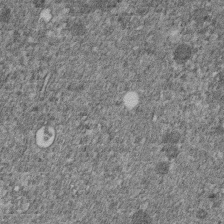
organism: C. elegans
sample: C. elegans embryo early stage